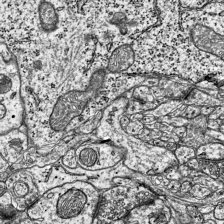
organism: Mouse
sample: Visual Cortex